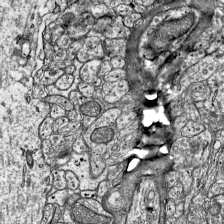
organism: Mouse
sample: Visual Cortex